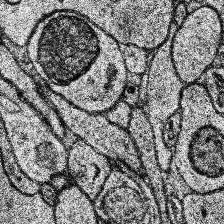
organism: Human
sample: Temporal Lobe